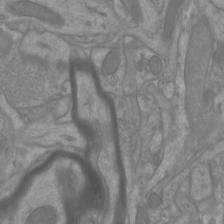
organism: Mouse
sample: Cortical neurons